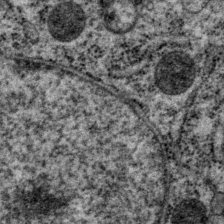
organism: P. pacificus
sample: Pharynx